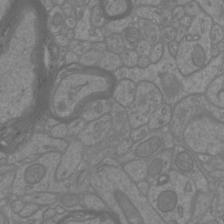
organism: Mouse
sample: Cortical neurons